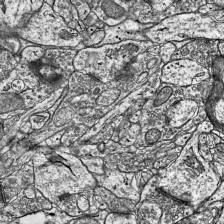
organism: Mouse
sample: Visual Cortex